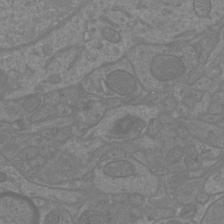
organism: Mouse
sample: Cortical neurons